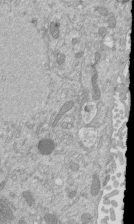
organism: Mouse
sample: ED-1 cell nuclei; centrioles